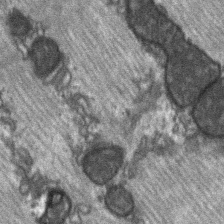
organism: C57BL Mouse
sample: Soleus